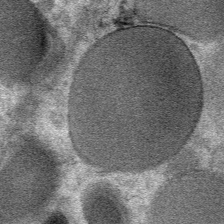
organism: Mouse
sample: Mouse Salivary gland